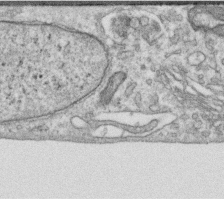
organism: Human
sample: Centriole in RPE cells